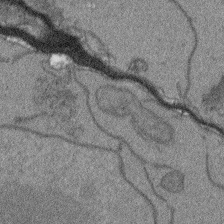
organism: Arabidopsis thaliana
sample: Root tip